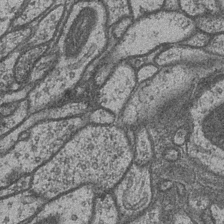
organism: Drosophila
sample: Optic medulla